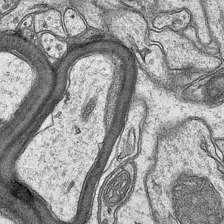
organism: Mouse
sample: CA1 Hippocampus